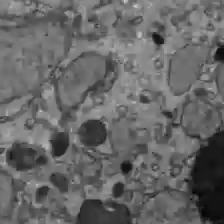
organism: C57BL Mouse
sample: Liver